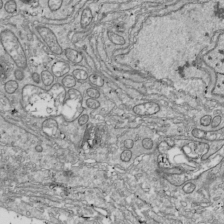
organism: Drosophila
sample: Cell division; meiosis; drosophila spermatocytes